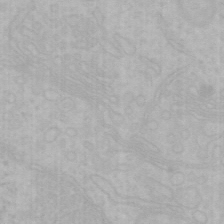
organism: Mouse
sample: Choroid plexus